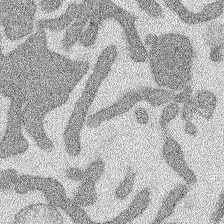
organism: Human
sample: HeLa cells